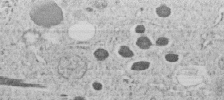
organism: C. elegans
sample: C. elegans embryo early stage